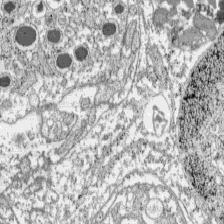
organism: C57BL Mouse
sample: Pancreatic islet